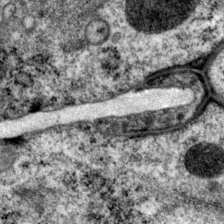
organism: P. pacificus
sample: Pharynx